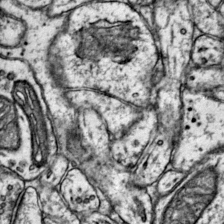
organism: Mouse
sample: Primary visual cortex